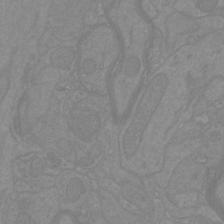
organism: Mouse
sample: Cortical neurons